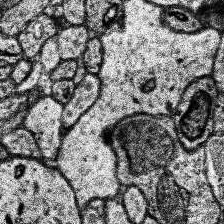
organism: Human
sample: Temporal Lobe